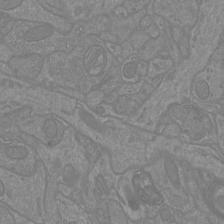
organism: Mouse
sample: Cortical neurons